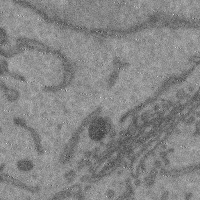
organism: Mouse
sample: Cerebral cortex